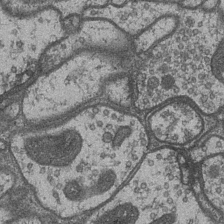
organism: Drosophila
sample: Optic medulla